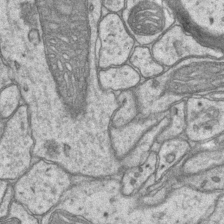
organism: Mouse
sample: CA1 Hippocampus